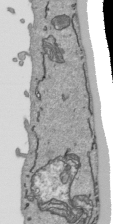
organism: Human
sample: Mitochondria in HCT116 cells